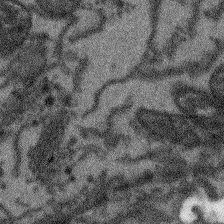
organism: Arabidopsis thaliana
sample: Root tip